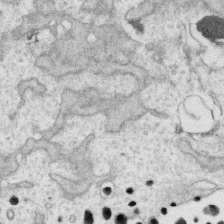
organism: Human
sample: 1205lu cells